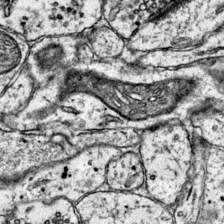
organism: Mouse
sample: Primary visual cortex